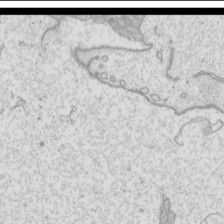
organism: Mouse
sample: Cilia; mouse epididymis